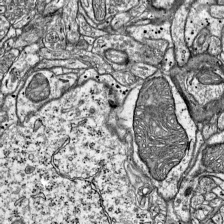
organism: Mouse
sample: Visual Cortex